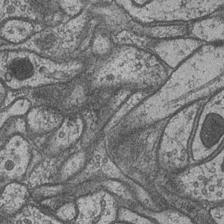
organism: Drosophila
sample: Optic medulla